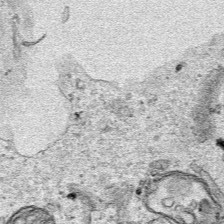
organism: Human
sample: Mitochondria in HCT116 cells